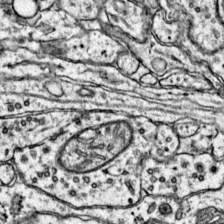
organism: Mouse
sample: Primary visual cortex